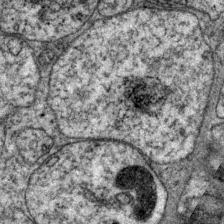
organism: P. pacificus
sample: Pharynx